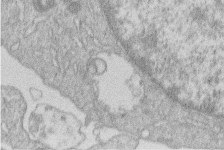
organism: Human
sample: Macrophage cells